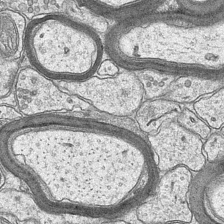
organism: Mouse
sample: CA1 Hippocampus